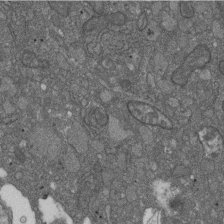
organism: Drosophila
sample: Nephrocyte